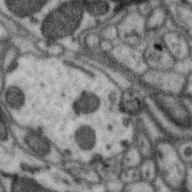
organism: Zebra finch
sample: Brain